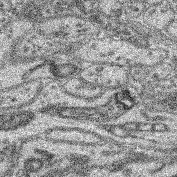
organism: Mouse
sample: Retina